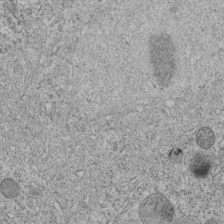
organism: C. elegans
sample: C. elegans embryo early stage